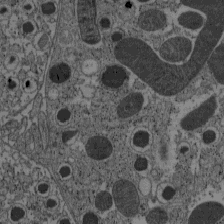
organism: C57BL Mouse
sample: Pancreatic islet